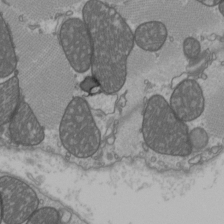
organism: C57BL Mouse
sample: Heart